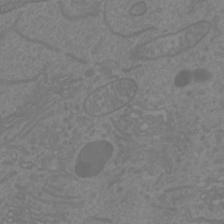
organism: Mouse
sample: Cortical neurons